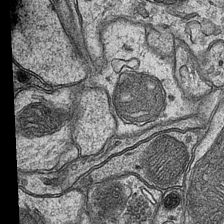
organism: Mouse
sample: CA1 Hippocampus